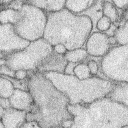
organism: Rabbit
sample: Retina